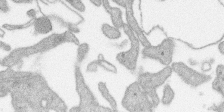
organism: Human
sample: Lung epithelial cells infected with SARS-CoV-2